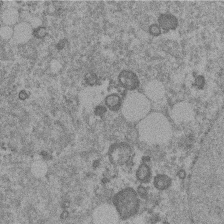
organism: Mouse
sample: Dividing mouse embryo 1 cell stage